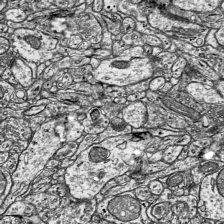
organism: Mouse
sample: Visual Cortex